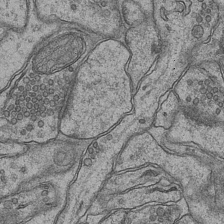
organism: Mouse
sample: CA1 Hippocampus